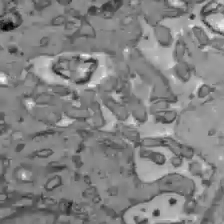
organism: C57BL Mouse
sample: Liver